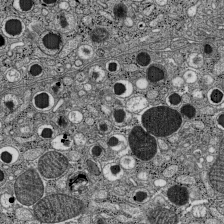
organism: C57BL Mouse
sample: Pancreatic islet